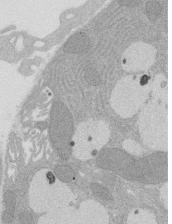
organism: Rat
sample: Salivary granule